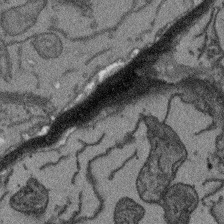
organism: Arabidopsis thaliana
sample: Root tip